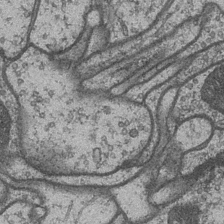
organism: Drosophila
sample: Optic medulla